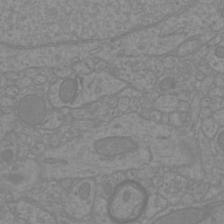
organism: Mouse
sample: Cortical neurons